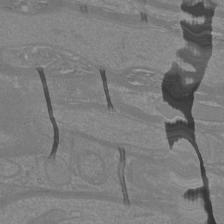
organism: Mouse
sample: Cortical neurons